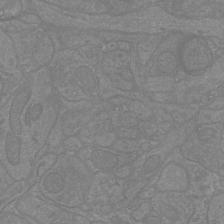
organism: Mouse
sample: Cortical neurons